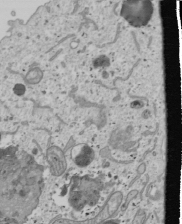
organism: Human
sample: Mitochondria in U2OS cells